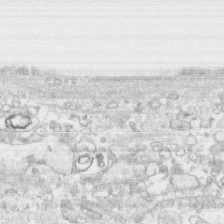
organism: Human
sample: CRL-1474